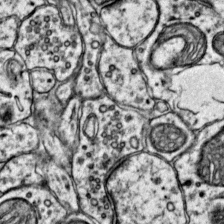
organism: Mouse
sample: Primary visual cortex